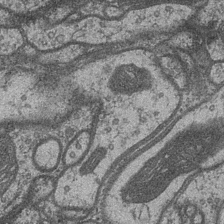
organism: Drosophila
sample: Optic medulla